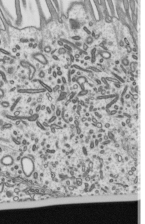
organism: Mouse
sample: Mouse epididymis efferent ductule cilia